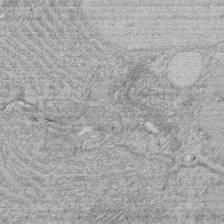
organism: Rat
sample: Salivary granule